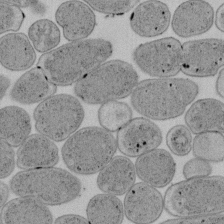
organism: E. coli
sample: Bacterial nucleoid